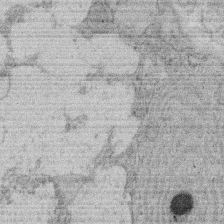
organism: Rat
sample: Salivary granule